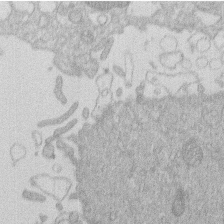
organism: Human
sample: Macrophage cells